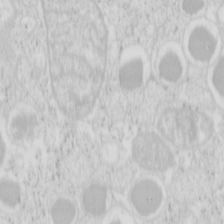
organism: Mouse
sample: Pancreas